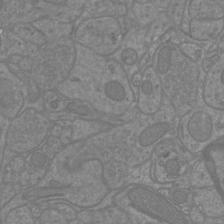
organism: Mouse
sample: Cortical neurons